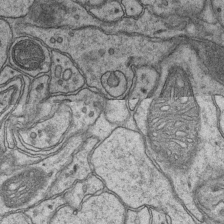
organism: Mouse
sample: CA1 Hippocampus